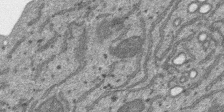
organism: Human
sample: Lung epithelial cells infected with SARS-CoV-2